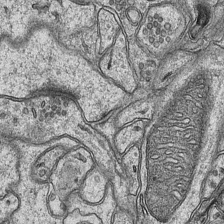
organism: Mouse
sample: CA1 Hippocampus